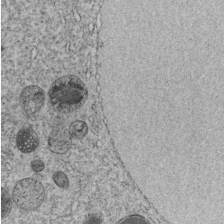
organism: C. elegans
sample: C. elegans embryo early stage